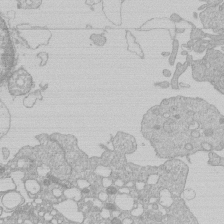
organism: Human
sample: Macrophage cells